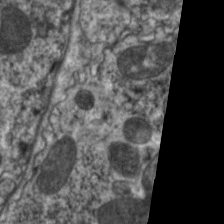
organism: C. elegans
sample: Pharynx